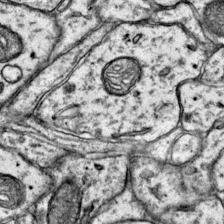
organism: Mouse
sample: Primary visual cortex